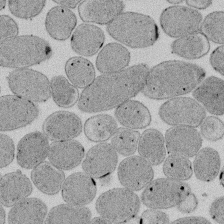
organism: E. coli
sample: Bacterial nucleoid